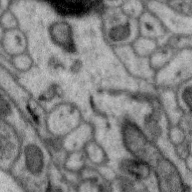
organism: Zebra finch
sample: Brain